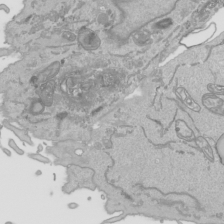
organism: Human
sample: Mitochondria in HCT116 cells